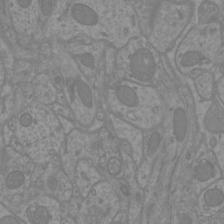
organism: Mouse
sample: Cortical neurons